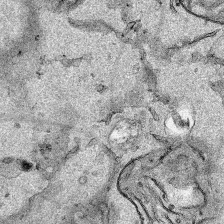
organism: Human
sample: Mitochondria in HCT116 cells